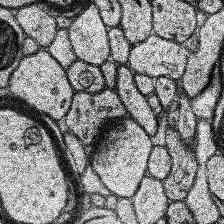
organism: Human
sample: Temporal Lobe